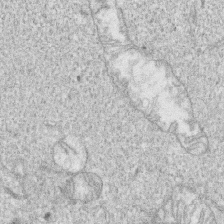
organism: Human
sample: HeLa cell HIV synapse